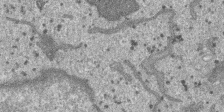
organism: Human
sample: Lung epithelial cells infected with SARS-CoV-2